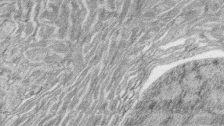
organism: Zebrafish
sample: synaptic ribbons in rod cells and cone cells